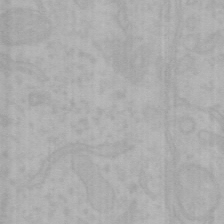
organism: Mouse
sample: Choroid plexus